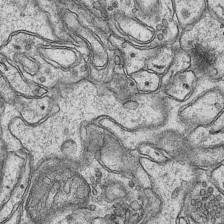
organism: Mouse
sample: CA1 Hippocampus